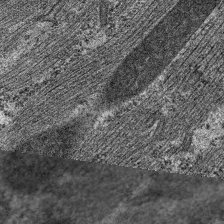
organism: C. elegans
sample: Pharynx